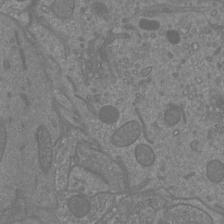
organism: Mouse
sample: Cortical neurons